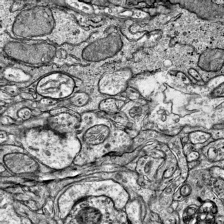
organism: Mouse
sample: Visual Cortex